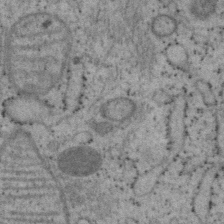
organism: Human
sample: HeLa cells